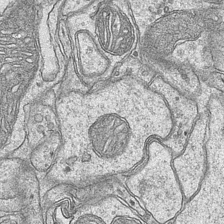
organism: Mouse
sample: CA1 Hippocampus